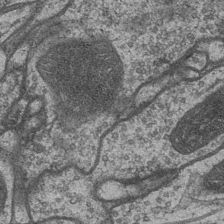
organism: Drosophila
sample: Optic medulla